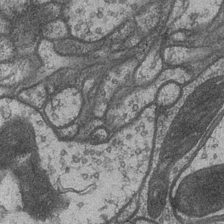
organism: Drosophila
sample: Optic medulla